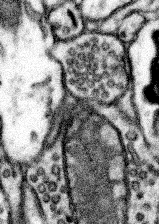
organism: Mouse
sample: Somatosensory cortex neuropil